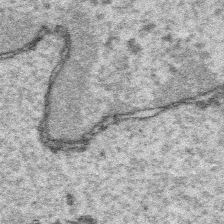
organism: Platynereis dumerilii